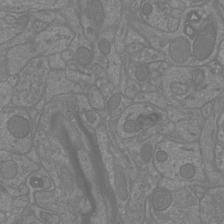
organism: Mouse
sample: Cortical neurons